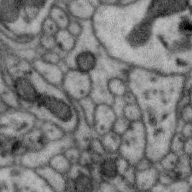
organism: Zebra finch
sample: Brain